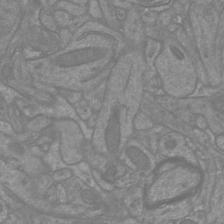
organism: Mouse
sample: Cortical neurons